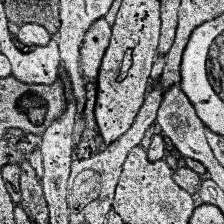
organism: Human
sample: Temporal Lobe